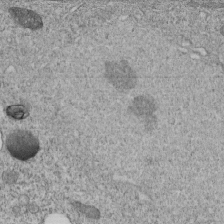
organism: C. elegans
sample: C. elegans embryo early stage